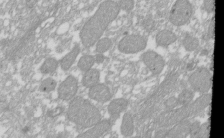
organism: Xenopus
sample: Cilia; centrioles in frog embryo cells